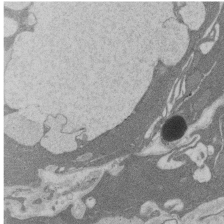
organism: Rat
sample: Salivary granule